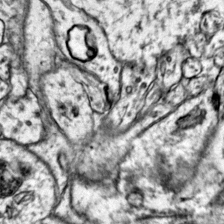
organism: Mouse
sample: Primary visual cortex